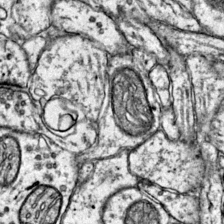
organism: Mouse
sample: Primary visual cortex